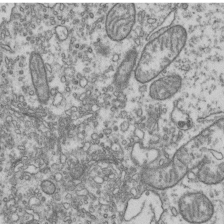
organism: Human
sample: Activated Jurkat CD4+ T cells